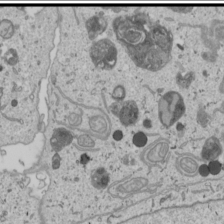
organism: Human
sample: Mitochondria in U2OS cells